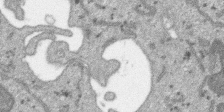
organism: Human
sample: Lung epithelial cells infected with SARS-CoV-2